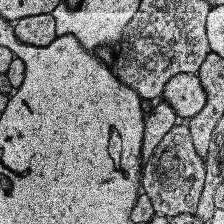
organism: Human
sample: Temporal Lobe